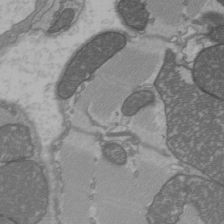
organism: C57BL Mouse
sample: Heart